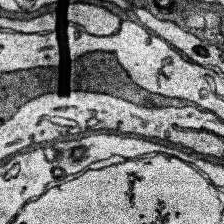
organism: Human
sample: Temporal Lobe